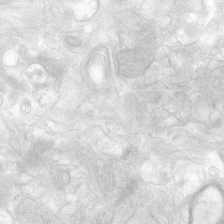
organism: Human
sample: Neocortex